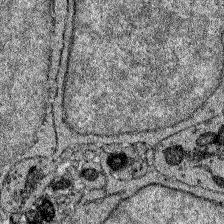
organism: Zebrafish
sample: Larval olfactory bulb